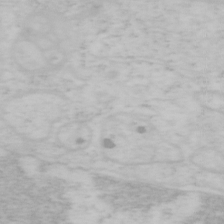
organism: Mouse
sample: OT-I killer T cells with ID8 ovarian cancer cells